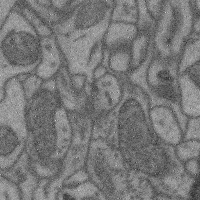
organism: Mouse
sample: Cerebral cortex